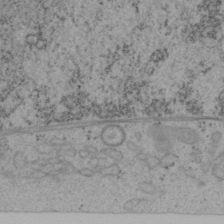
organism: Human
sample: HeLa cells